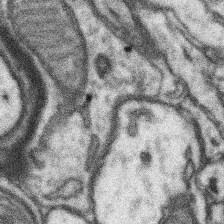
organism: Mouse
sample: Somatosensory cortex neuropil